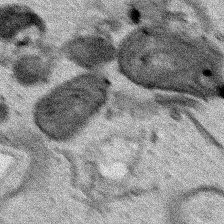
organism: Human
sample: Mitochondria in HCT116 cells